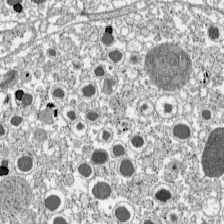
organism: C57BL Mouse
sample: Pancreatic islet